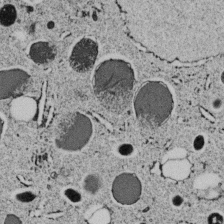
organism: C. elegans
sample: C. elegans embryo early stage